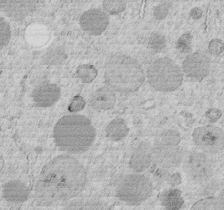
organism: C. elegans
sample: C. elegans embryo early stage